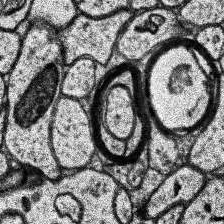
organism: Human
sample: Temporal Lobe